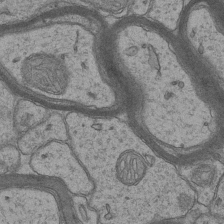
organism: Mouse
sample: CA1 Hippocampus